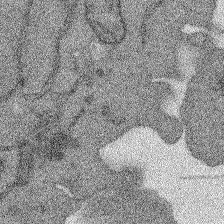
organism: Human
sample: HeLa cells